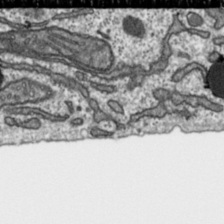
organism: Toxoplasma gondii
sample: Parasites in a vacuole inside a host cell